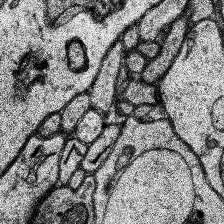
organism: Human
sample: Temporal Lobe